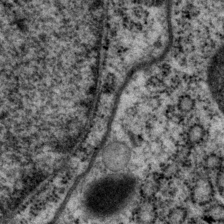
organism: P. pacificus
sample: Pharynx